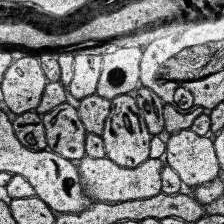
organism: Human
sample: Temporal Lobe